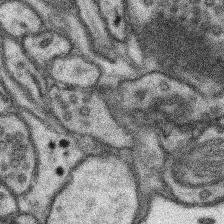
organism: Mouse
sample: Somatosensory cortex neuropil